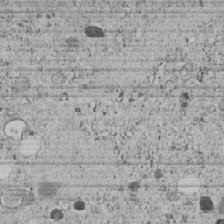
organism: C. elegans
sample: C. elegans embryo early stage